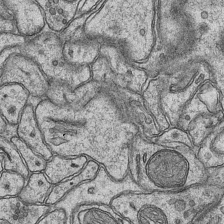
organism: Mouse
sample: CA1 Hippocampus